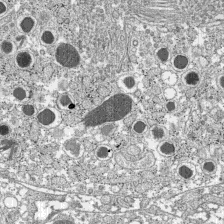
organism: C57BL Mouse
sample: Pancreatic islet